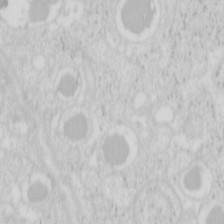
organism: Mouse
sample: Pancreas